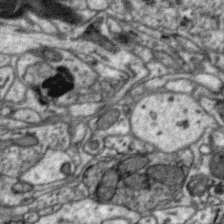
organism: Zebra finch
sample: Brain